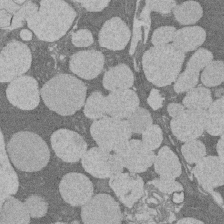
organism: Rat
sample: Salivary granule